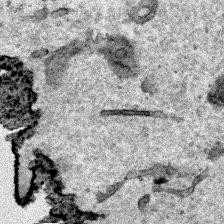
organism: Human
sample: Mitochondria in HCT116 cells